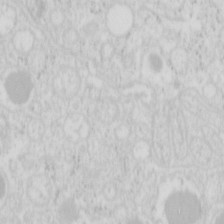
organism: Mouse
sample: Pancreas